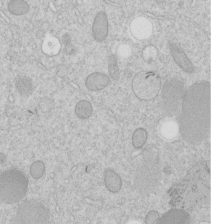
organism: C. elegans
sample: C. elegans embryo early stage